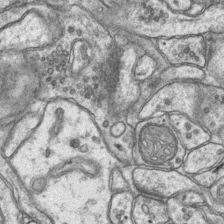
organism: Mouse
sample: CA1 Hippocampus